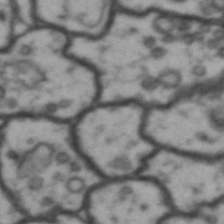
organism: Drosophila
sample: Brain